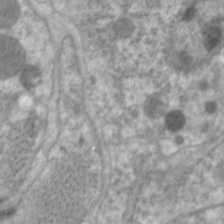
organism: C. elegans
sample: Pharynx